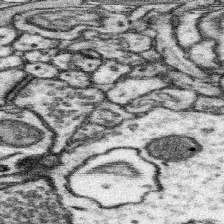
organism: Mouse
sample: Somatosensory cortex neuropil